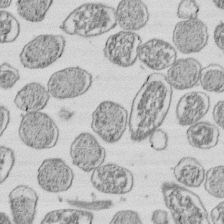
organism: E. coli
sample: Bacterial nucleoid